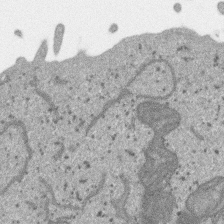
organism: Human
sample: Lung epithelial cells infected with SARS-CoV-2